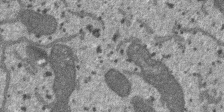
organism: Human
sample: Lung epithelial cells infected with SARS-CoV-2